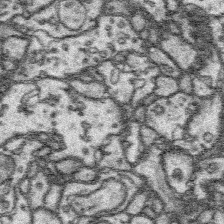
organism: Platynereis dumerilii